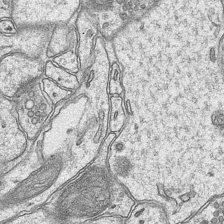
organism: Mouse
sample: CA1 Hippocampus